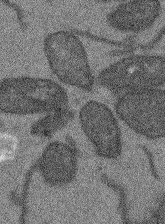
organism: Arabidopsis thaliana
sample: Root tip